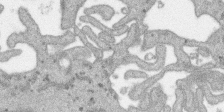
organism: Human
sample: Lung epithelial cells infected with SARS-CoV-2